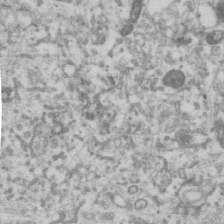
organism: Human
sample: Centriole in RPE cells